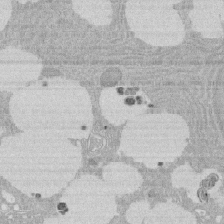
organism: Rat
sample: Salivary granule